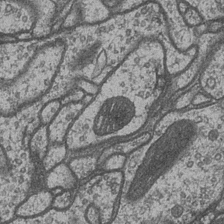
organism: Drosophila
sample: Optic medulla